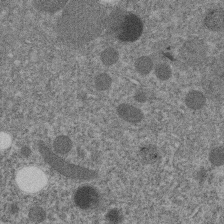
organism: C. elegans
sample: C. elegans embryo early stage